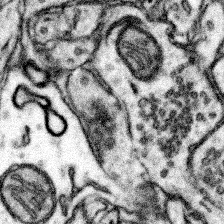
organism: Mouse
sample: Somatosensory cortex neuropil